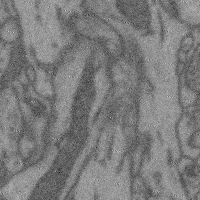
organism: Mouse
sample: Cerebral cortex